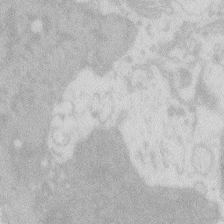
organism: Zebrafish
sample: Macrophage